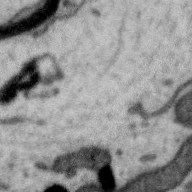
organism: Zebra finch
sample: Brain